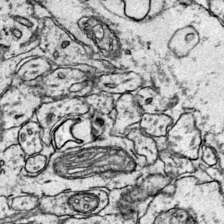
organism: Mouse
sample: Primary visual cortex